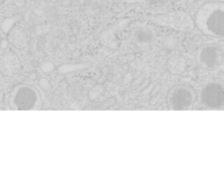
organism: Mouse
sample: Pancreas